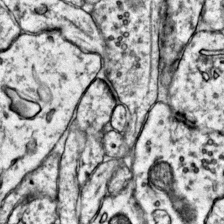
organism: Mouse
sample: Primary visual cortex